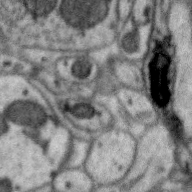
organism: Zebra finch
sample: Brain